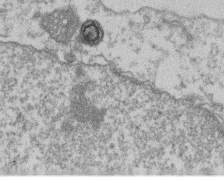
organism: Mouse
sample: T cell stromal cell synapse